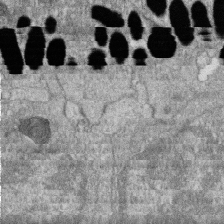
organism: Zebrafish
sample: Cilia; retinal pigment epithelium